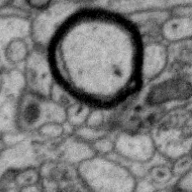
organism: Zebra finch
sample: Brain